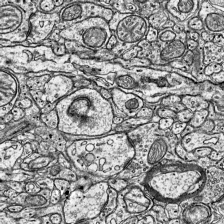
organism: Mouse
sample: Visual Cortex